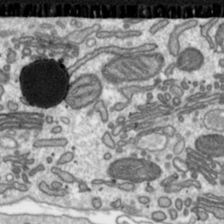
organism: Toxoplasma gondii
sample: Parasites in a vacuole inside a host cell